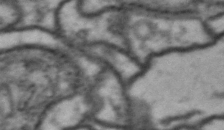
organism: Drosophila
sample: Brain